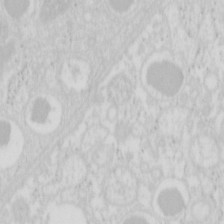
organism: Mouse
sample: Pancreas